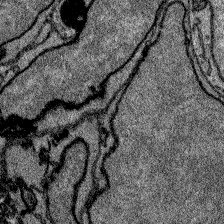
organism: Zebrafish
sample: Larval olfactory bulb